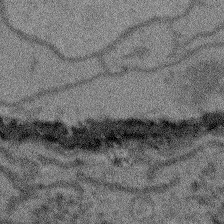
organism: Arabidopsis thaliana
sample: Root tip